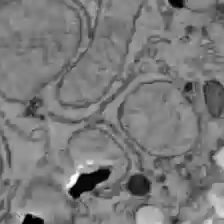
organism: C57BL Mouse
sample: Liver